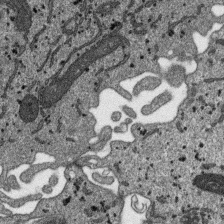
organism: Human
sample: Lung epithelial cells infected with SARS-CoV-2